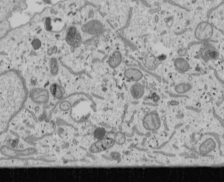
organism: Human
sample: Mitochondria in U2OS cells